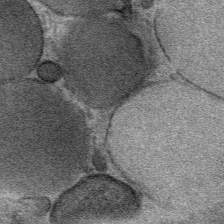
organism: Mouse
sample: Mouse Salivary gland